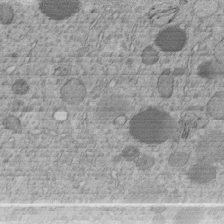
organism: C. elegans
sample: C. elegans embryo early stage